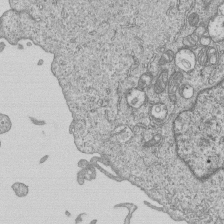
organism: Human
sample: MDA-MB-231 cells